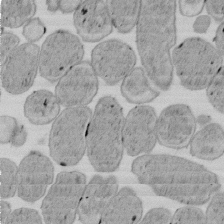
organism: E. coli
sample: Bacterial nucleoid